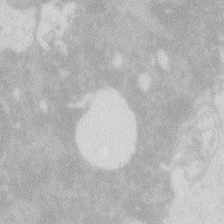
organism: Zebrafish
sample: Macrophage